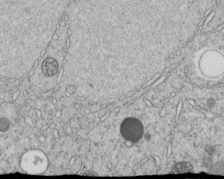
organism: C. elegans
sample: C. elegans embryo early stage